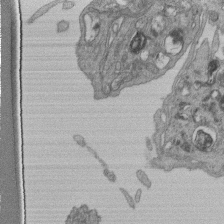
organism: Human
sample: Retinal organoid Rod and Cone cells